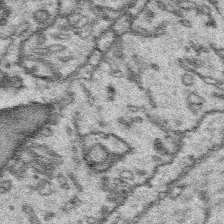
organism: Platynereis dumerilii